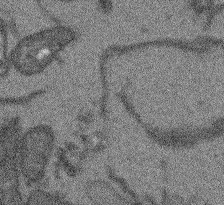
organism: Arabidopsis thaliana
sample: Root tip